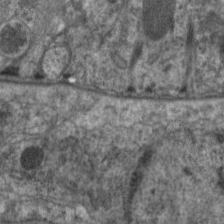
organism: C. elegans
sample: Pharynx